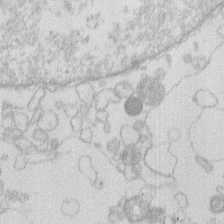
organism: Human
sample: Macrophage cells